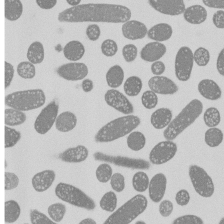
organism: E. coli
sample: Bacterial nucleoid